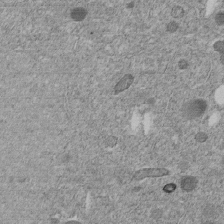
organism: C. elegans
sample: C. elegans embryo early stage